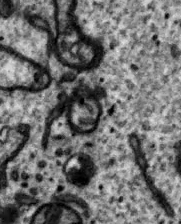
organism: Human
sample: HeLa cells